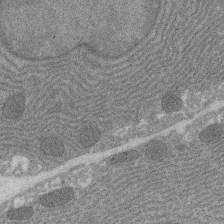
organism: Rat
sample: Salivary granule